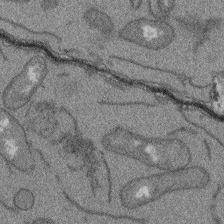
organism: Arabidopsis thaliana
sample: Root tip